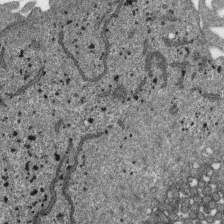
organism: Human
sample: Lung epithelial cells infected with SARS-CoV-2